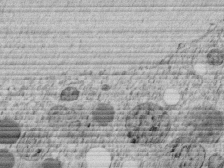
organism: C. elegans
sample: C. elegans embryo early stage